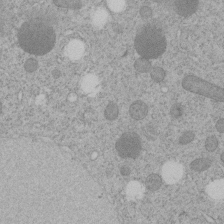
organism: C. elegans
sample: C. elegans embryo early stage